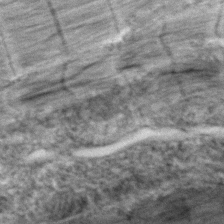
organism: Zebrafish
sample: Zebrafish embryo